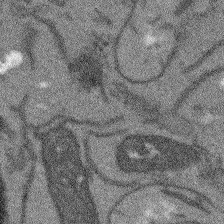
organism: Arabidopsis thaliana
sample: Root tip